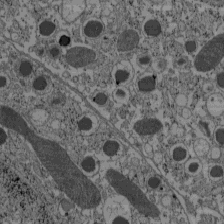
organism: C57BL Mouse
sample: Pancreatic islet